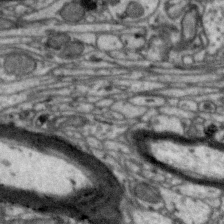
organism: Zebra finch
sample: Brain